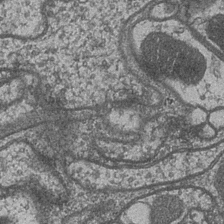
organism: Drosophila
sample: Optic medulla